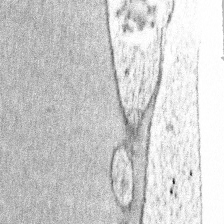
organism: Human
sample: HeLa cells